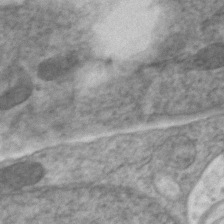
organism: Zebrafish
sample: Zebrafish embryo